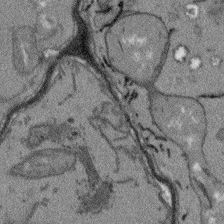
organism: Arabidopsis thaliana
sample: Root tip